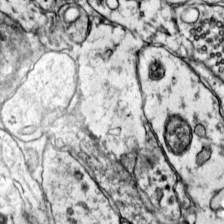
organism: Mouse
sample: Primary visual cortex